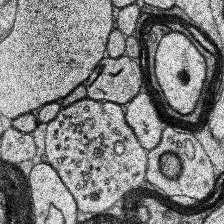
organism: Human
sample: Temporal Lobe